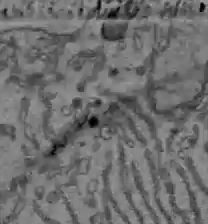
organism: C57BL Mouse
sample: Liver